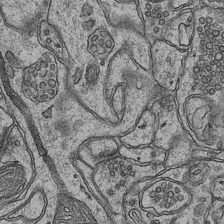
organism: Mouse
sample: CA1 Hippocampus